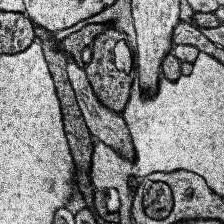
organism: Human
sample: Temporal Lobe